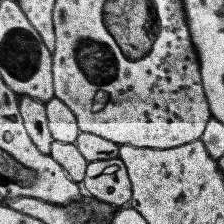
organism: Human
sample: Temporal Lobe